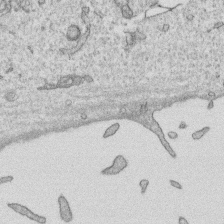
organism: Human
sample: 1205lu cells